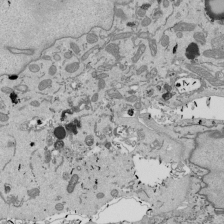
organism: Mouse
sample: ED-1 cell nuclei; centrioles